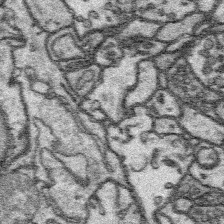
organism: Platynereis dumerilii